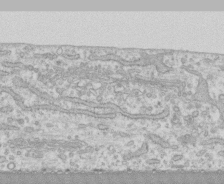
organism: Human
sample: CRL-1474